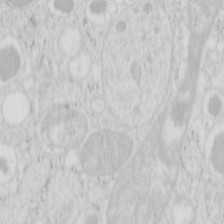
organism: Mouse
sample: Pancreas